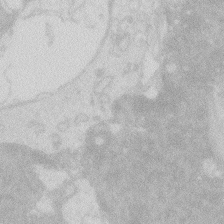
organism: Zebrafish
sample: Macrophage